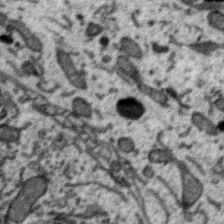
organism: Zebra finch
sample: Brain